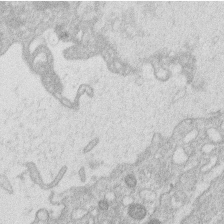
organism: Human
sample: Macrophage cells